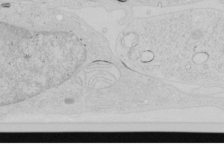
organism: Human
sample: Mitochondria in HCT116 cells